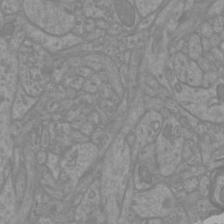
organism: Mouse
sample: Cortical neurons